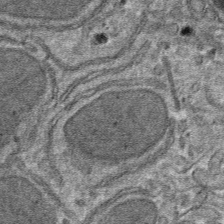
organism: Mouse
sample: Mouse hepatocytes